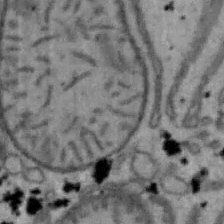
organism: Mouse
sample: Liver